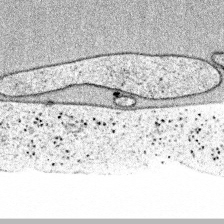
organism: Human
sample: HeLa cells